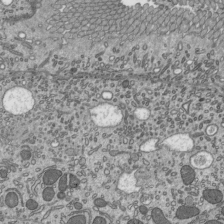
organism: Mouse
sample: Mouse epididymis efferent ductule cilia